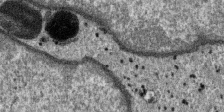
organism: Human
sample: Lung epithelial cells, uninfected (mock) control